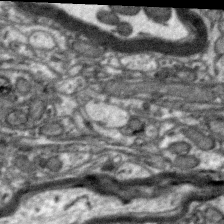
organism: Zebra finch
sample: Brain